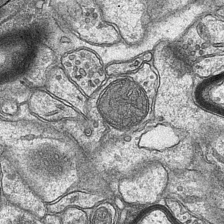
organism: Mouse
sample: CA1 Hippocampus